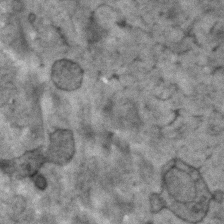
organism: Human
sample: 1205lu cells